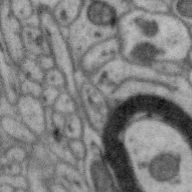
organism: Zebra finch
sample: Brain